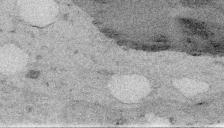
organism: Embia sp.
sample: Silk gland